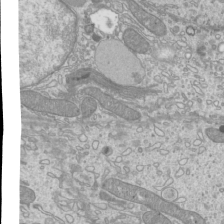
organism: Mouse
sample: Cilia; mouse epididymis